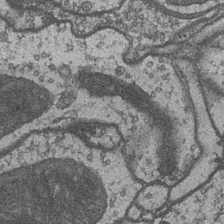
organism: Drosophila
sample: Optic medulla